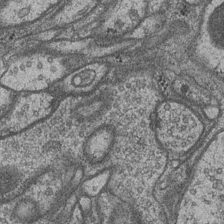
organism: Drosophila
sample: Optic medulla